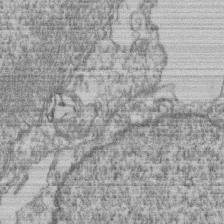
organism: Mouse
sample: T cell stromal cell synapse